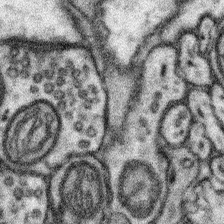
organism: Mouse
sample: Somatosensory cortex neuropil